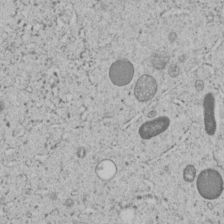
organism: C. elegans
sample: C. elegans embryo early stage